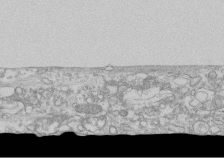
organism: Human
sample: CRL-1474